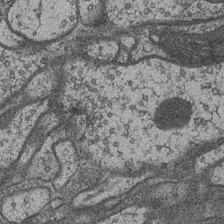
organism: Drosophila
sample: Optic medulla